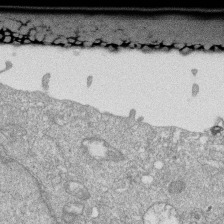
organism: Human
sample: HeLa cell HIV synapse